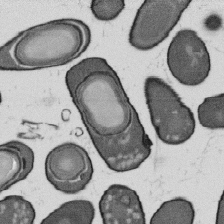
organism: B. subtilis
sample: Bacterial spore